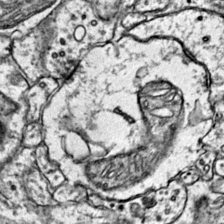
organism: Mouse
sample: Primary visual cortex